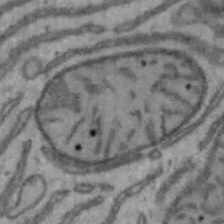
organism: Mouse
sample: Liver